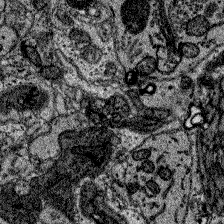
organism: Zebrafish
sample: Larval olfactory bulb